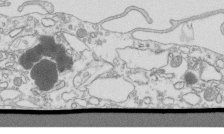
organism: Mouse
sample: Macrophages